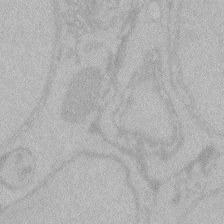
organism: Zebrafish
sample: Macrophage infected with Toxoplasma gondii